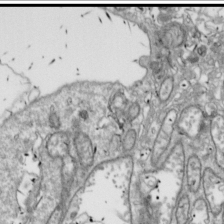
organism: Drosophila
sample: Cell division; meiosis; drosophila spermatocytes